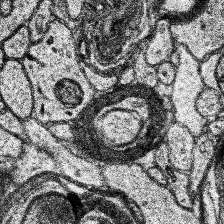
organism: Human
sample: Temporal Lobe